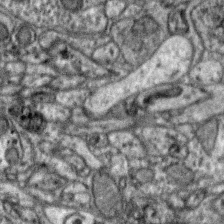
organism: Zebra finch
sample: Brain